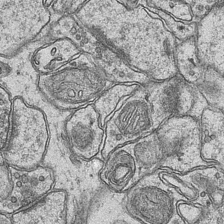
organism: Mouse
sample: CA1 Hippocampus